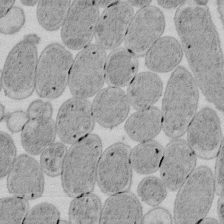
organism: E. coli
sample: Bacterial nucleoid